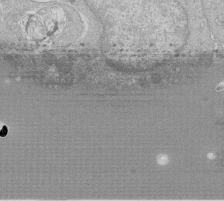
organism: Human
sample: Macrophage cells